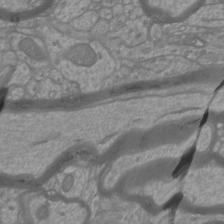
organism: Mouse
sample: Cortical neurons